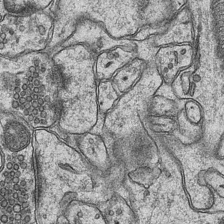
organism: Mouse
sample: CA1 Hippocampus